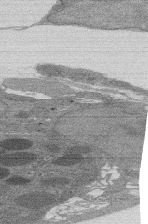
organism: Rat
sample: Salivary granule